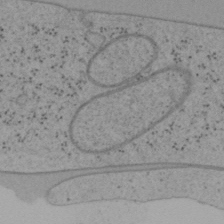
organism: Human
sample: HeLa cells